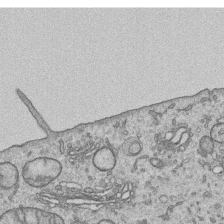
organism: Human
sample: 1205lu cells